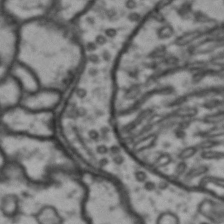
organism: Drosophila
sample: Brain